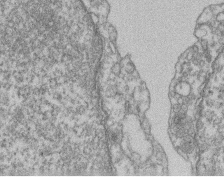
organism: Mouse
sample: T cell stromal cell synapse